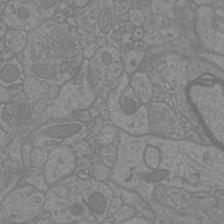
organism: Mouse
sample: Cortical neurons